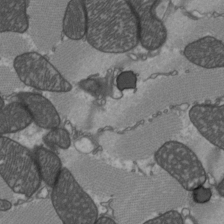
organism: C57BL Mouse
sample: Heart